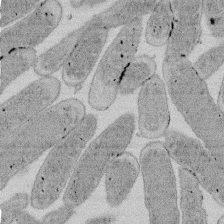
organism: E. coli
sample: Bacterial nucleoid